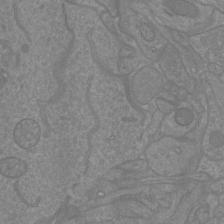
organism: Mouse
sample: Cortical neurons